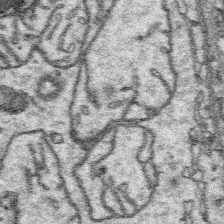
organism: Platynereis dumerilii